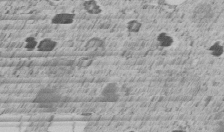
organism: C. elegans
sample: C. elegans embryo early stage